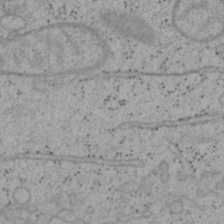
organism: Human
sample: HeLa cells